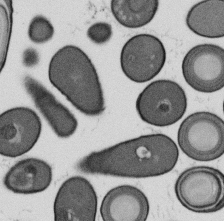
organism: B. subtilis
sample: Bacterial spore